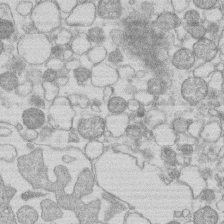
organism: Human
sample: Macrophage cells